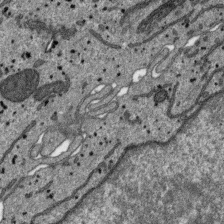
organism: Human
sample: Lung epithelial cells, uninfected (mock) control